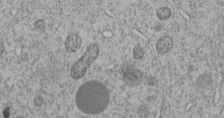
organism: C. elegans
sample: C. elegans embryo early stage